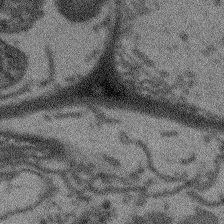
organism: Arabidopsis thaliana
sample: Root tip